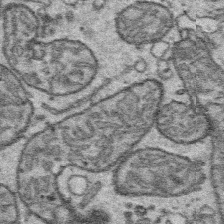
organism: Platynereis dumerilii